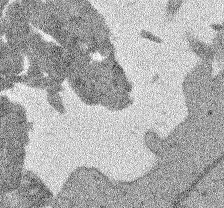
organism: Human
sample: HeLa cells